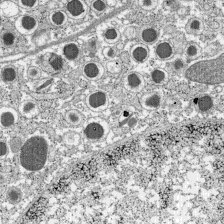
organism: C57BL Mouse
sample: Pancreatic islet